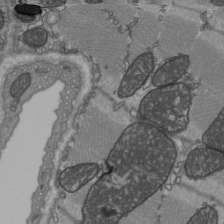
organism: C57BL Mouse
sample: Heart